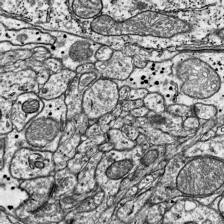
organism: Mouse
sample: Visual Cortex